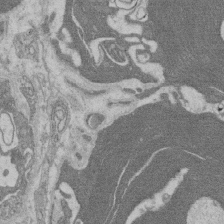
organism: Rat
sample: Salivary granule